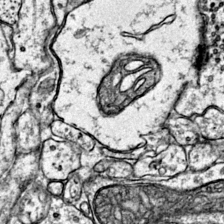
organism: Mouse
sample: Primary visual cortex